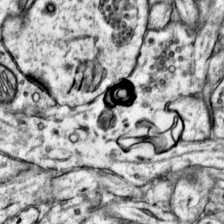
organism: Mouse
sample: Primary visual cortex